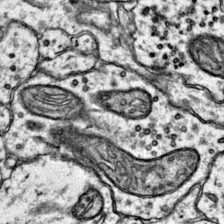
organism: Mouse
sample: Primary visual cortex